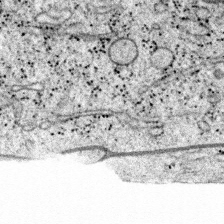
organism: Human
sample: HeLa cells